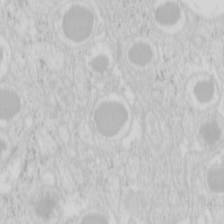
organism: Mouse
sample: Pancreas